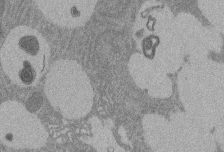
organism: Rat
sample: Salivary granule